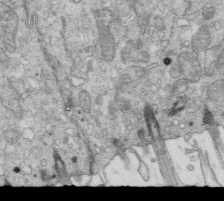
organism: Mouse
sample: Multiciliated cells